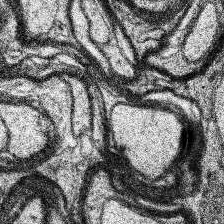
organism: Human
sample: Temporal Lobe